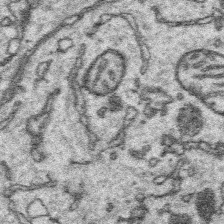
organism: Platynereis dumerilii